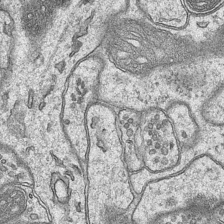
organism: Mouse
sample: CA1 Hippocampus